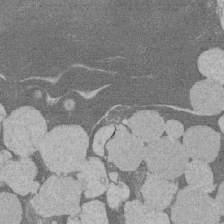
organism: Rat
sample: Salivary granule